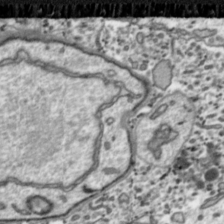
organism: Toxoplasma gondii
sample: Parasites in a vacuole inside a host cell